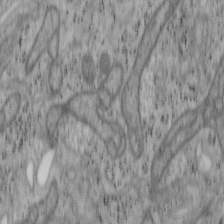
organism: Human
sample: HeLa cells